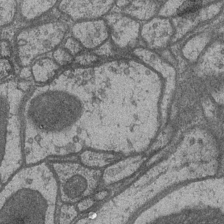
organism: Drosophila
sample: Optic medulla